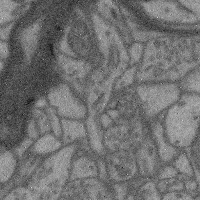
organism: Mouse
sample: Cerebral cortex